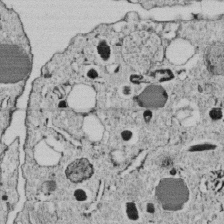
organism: C. elegans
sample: C. elegans embryo early stage